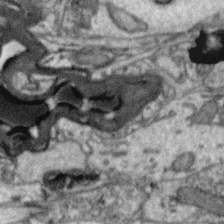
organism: Zebra finch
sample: Brain